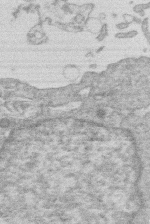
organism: Human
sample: Macrophage cells